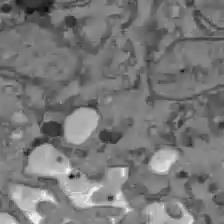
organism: C57BL Mouse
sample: Liver